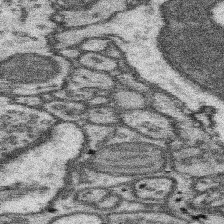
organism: Mouse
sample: Somatosensory cortex neuropil